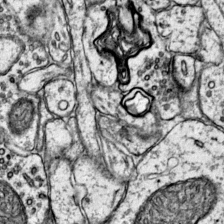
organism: Mouse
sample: Primary visual cortex